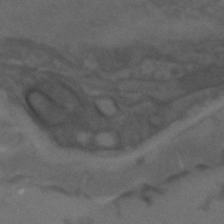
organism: C. elegans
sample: C. elegans embryo